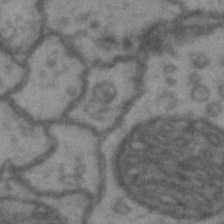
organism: Drosophila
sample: Brain